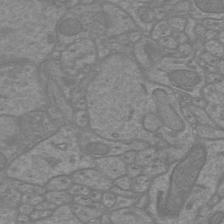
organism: Mouse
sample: Cortical neurons